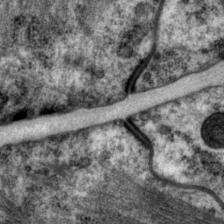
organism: P. pacificus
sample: Pharynx